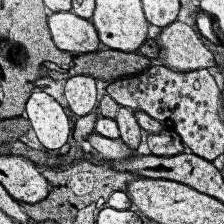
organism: Human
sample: Temporal Lobe